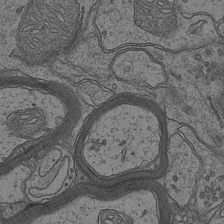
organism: Mouse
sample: CA1 Hippocampus